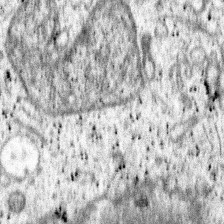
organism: Human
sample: HeLa cells